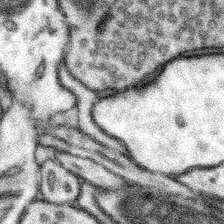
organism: Mouse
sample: Somatosensory cortex neuropil